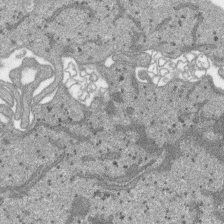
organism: Human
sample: Lung epithelial cells infected with SARS-CoV-2